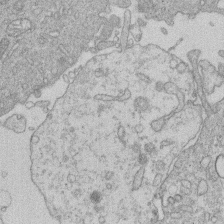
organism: Human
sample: Macrophage cells